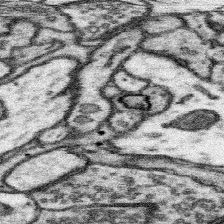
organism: Mouse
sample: Somatosensory cortex neuropil